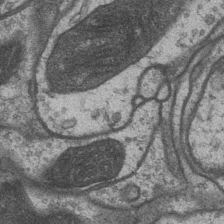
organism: Drosophila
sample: Optic medulla